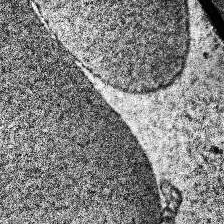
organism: Human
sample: Temporal Lobe